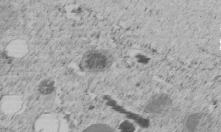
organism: C. elegans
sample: C. elegans embryo early stage